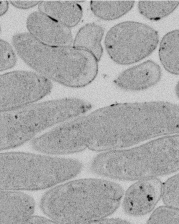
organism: E. coli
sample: Bacterial nucleoid